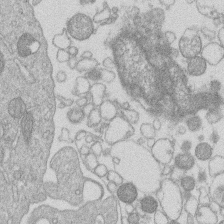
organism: Human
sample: Macrophage cells